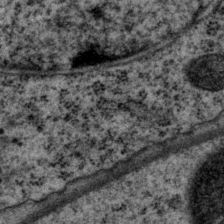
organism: P. pacificus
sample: Pharynx